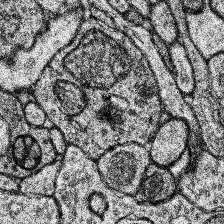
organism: Human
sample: Temporal Lobe